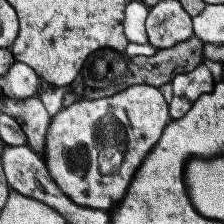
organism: Human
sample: Temporal Lobe